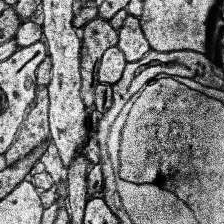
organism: Human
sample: Temporal Lobe